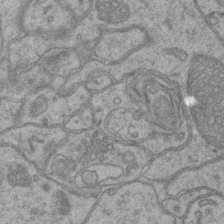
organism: Mouse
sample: CA1 Hippocampus